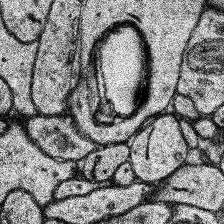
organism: Human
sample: Temporal Lobe